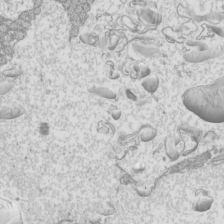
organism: Mouse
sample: Cilia; mouse epididymis